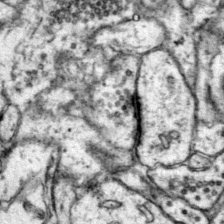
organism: Mouse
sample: Primary visual cortex